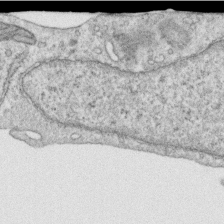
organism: Human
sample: Centriole in RPE cells